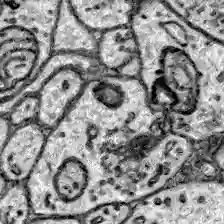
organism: Zebrafish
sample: Brain